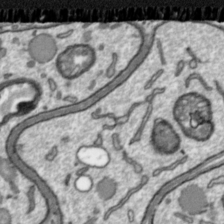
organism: Toxoplasma gondii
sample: Parasites in a vacuole inside a host cell